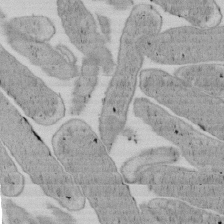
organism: E. coli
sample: Bacterial nucleoid